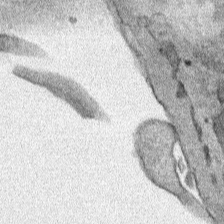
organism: Human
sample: Mitochondria in HCT116 cells